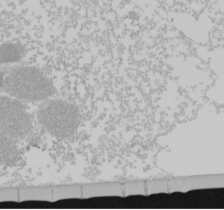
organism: Mouse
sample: Cancer cell death in ED-1 cells